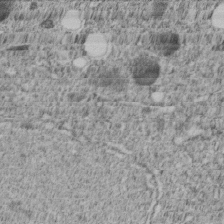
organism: C. elegans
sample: C. elegans embryo early stage